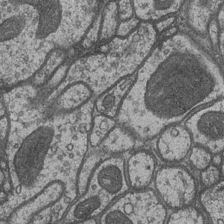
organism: Drosophila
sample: Optic medulla